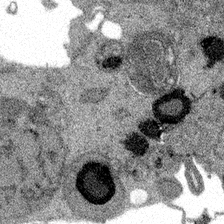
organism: Spongilla lacustris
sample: Multiple